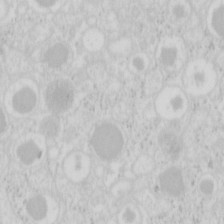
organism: Mouse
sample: Pancreas